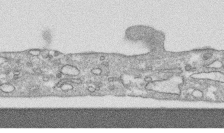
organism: Human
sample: CRL-1474